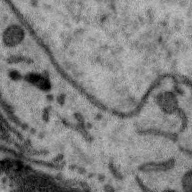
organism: Zebra finch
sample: Brain